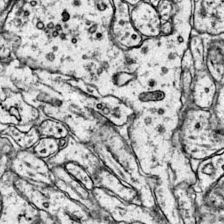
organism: Mouse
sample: Primary visual cortex